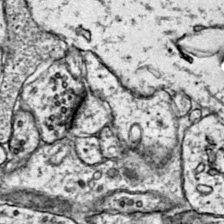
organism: Mouse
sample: Primary visual cortex